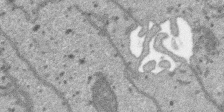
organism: Human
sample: Lung epithelial cells infected with SARS-CoV-2